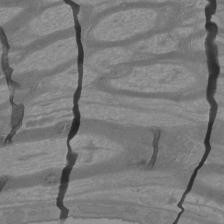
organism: Mouse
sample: Cortical neurons